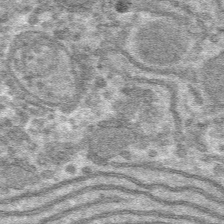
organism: Mouse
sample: Mouse hepatocytes